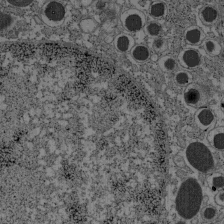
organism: C57BL Mouse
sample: Pancreatic islet